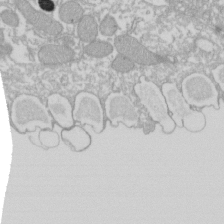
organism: Xenopus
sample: Cilia; centrioles in frog embryo cells